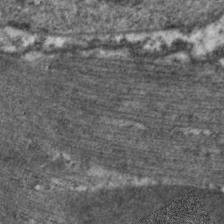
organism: C. elegans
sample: Pharynx